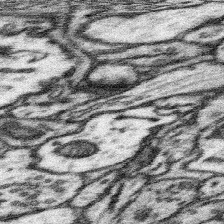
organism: Mouse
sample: Somatosensory cortex neuropil